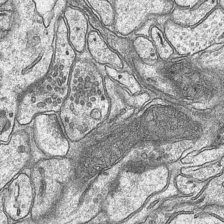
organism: Mouse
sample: CA1 Hippocampus